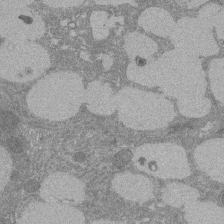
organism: Rat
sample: Salivary granule